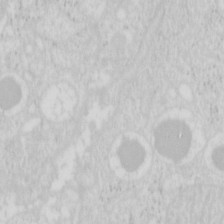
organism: Mouse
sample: Pancreas